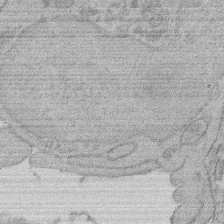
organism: Rat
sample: Salivary granule